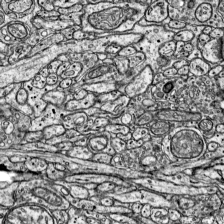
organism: Mouse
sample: Visual Cortex